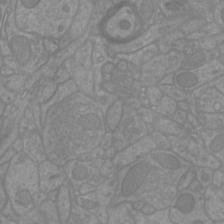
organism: Mouse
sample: Cortical neurons